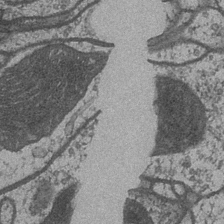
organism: Drosophila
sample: Optic medulla